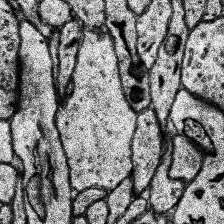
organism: Human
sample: Temporal Lobe